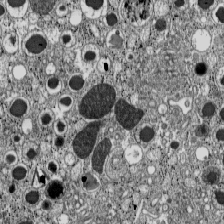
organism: C57BL Mouse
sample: Pancreatic islet